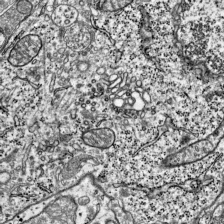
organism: Mouse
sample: Visual Cortex